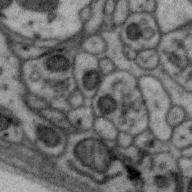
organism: Zebra finch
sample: Brain